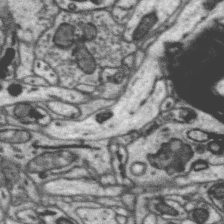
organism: Zebra finch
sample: Brain